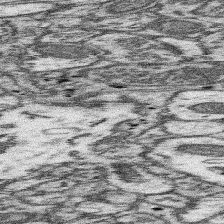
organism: Mouse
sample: Somatosensory cortex neuropil